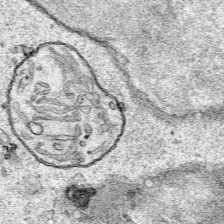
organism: Human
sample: Mitochondria in HCT116 cells